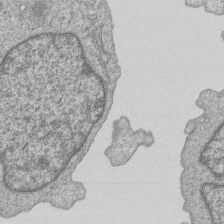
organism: Human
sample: MDA-MB-231 cells